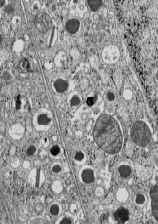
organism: C57BL Mouse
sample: Pancreatic islet